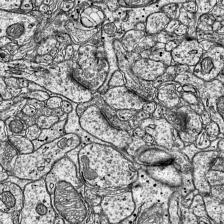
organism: Mouse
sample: Visual Cortex